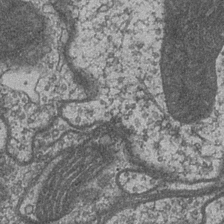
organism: Drosophila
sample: Optic medulla